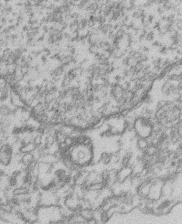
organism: Mouse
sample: T cell stromal cell synapse